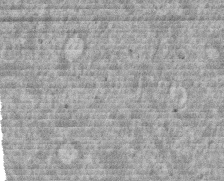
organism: Mouse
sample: Dividing mouse embryo 1 cell stage